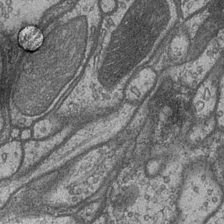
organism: Drosophila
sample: Optic medulla